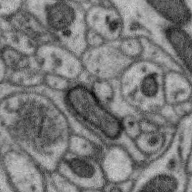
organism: Zebra finch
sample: Brain